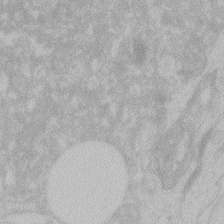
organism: Zebrafish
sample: Macrophage infected with Toxoplasma gondii